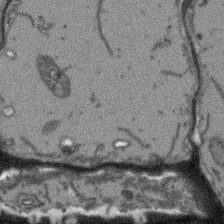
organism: Arabidopsis thaliana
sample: Root tip